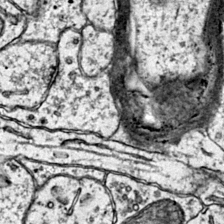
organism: Mouse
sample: Primary visual cortex